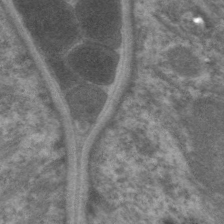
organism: C. elegans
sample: Pharynx